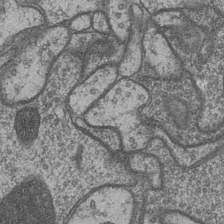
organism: Drosophila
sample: Optic medulla